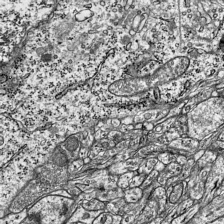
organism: Mouse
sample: Visual Cortex